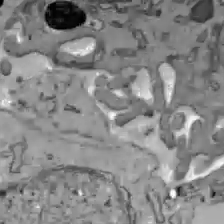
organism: C57BL Mouse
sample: Liver